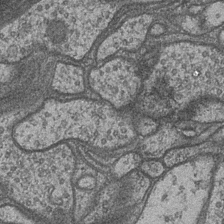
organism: Drosophila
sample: Optic medulla